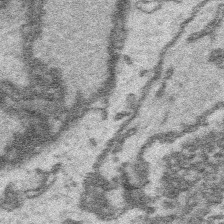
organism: Platynereis dumerilii